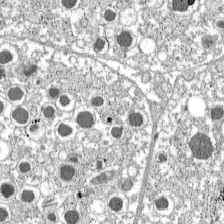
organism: C57BL Mouse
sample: Pancreatic islet